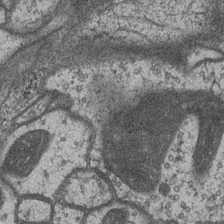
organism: Drosophila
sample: Optic medulla